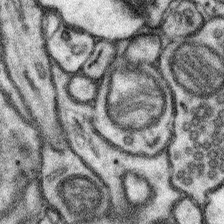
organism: Mouse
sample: Somatosensory cortex neuropil